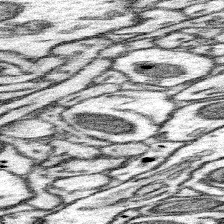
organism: Mouse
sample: Somatosensory cortex neuropil